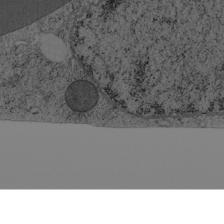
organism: African green monkey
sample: COS-7 cells